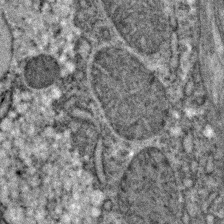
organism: C. elegans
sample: C. elegans embryo